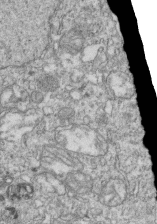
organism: Human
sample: HeLa cell HIV synapse